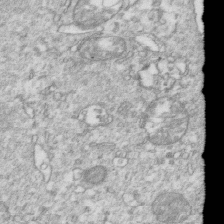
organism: Mouse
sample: Activated OT-1 CD8+ T cells